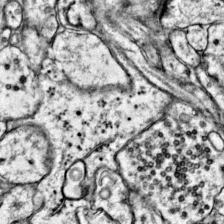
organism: Mouse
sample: Primary visual cortex